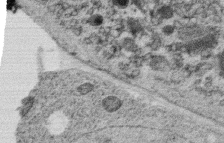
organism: C. elegans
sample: C. elegans oocyte; sperm cells